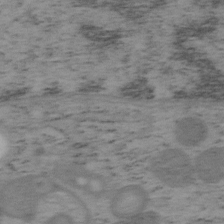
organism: Mouse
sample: OT-I killer T cells with ID8 ovarian cancer cells